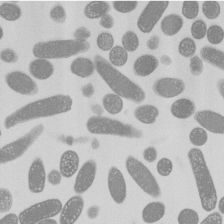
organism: E. coli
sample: Bacterial nucleoid